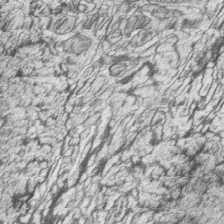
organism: Zebrafish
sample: synaptic ribbons in rod cells and cone cells